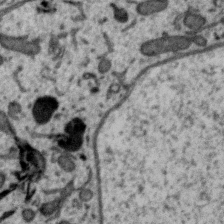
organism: Zebra finch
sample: Brain